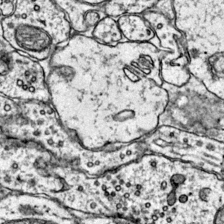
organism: Mouse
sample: Primary visual cortex